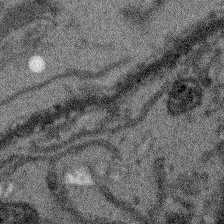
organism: Arabidopsis thaliana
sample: Root tip